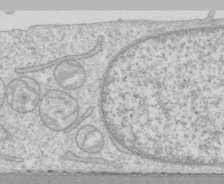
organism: Human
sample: CRL-1474